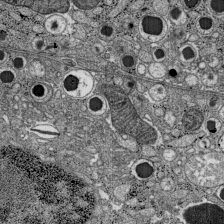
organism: C57BL Mouse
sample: Pancreatic islet